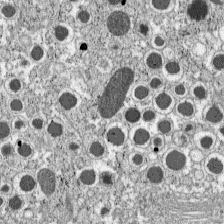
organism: C57BL Mouse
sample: Pancreatic islet